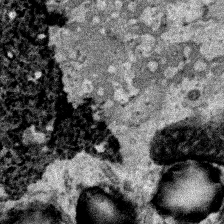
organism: Human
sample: Mitochondria in HCT116 cells